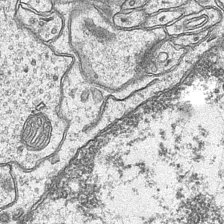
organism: Mouse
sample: CA1 Hippocampus